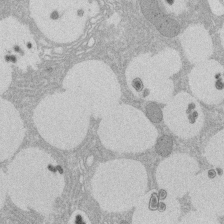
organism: Rat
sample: Salivary granule